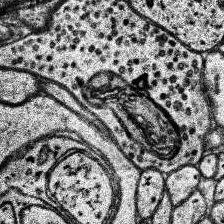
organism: Human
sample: Temporal Lobe